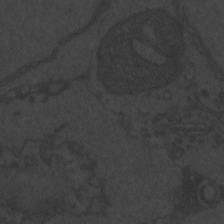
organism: Zebrafish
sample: Macrophage infected with Toxoplasma gondii